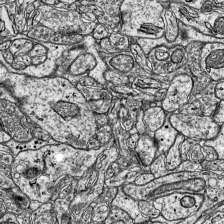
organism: Mouse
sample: Visual Cortex